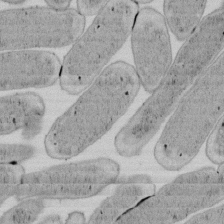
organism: E. coli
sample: Bacterial nucleoid